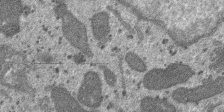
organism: Human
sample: Lung epithelial cells infected with SARS-CoV-2